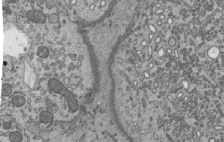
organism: Mouse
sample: Mouse epididymis efferent ductule cilia